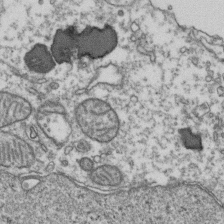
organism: Human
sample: Activated Jurkat CD4+ T cells